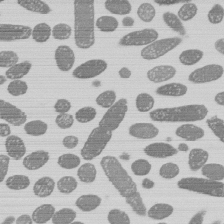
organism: E. coli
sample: Bacterial nucleoid